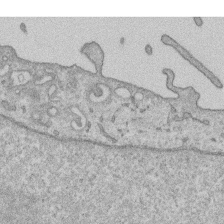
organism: Human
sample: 1205lu cells